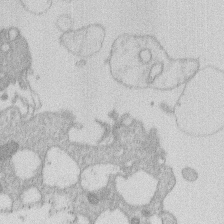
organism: Human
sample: Macrophage cells